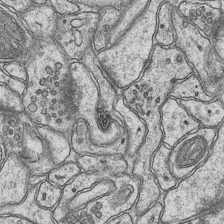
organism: Mouse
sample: CA1 Hippocampus